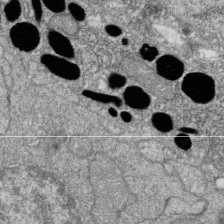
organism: Zebrafish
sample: Cilia; retinal pigment epithelium